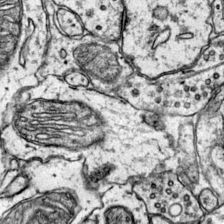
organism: Mouse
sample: Primary visual cortex